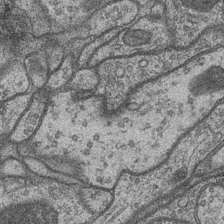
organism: Drosophila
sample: Optic medulla